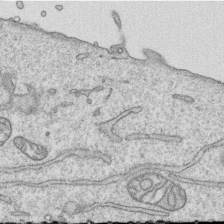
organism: Human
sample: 1205lu cells